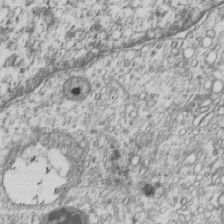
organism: Human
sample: MDA-MB-231 cells